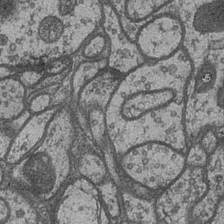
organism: Drosophila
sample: Optic medulla